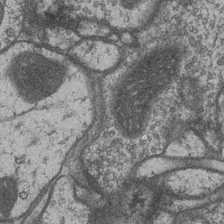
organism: Drosophila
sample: Optic medulla